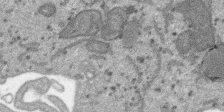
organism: Human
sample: Lung epithelial cells infected with SARS-CoV-2